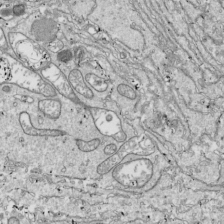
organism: Drosophila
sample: Cell division; meiosis; drosophila spermatocytes